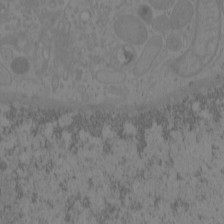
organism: Human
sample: HeLa cells